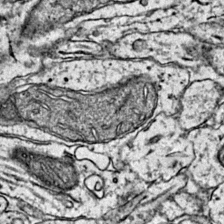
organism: Mouse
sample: Primary visual cortex